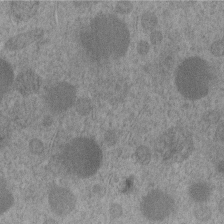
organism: C. elegans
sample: C. elegans embryo early stage